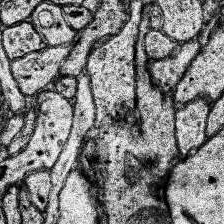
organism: Human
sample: Temporal Lobe